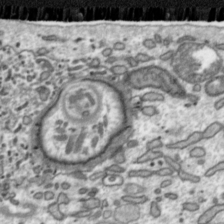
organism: Toxoplasma gondii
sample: Parasites in a vacuole inside a host cell